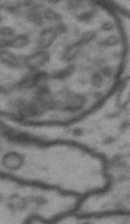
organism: Drosophila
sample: Brain